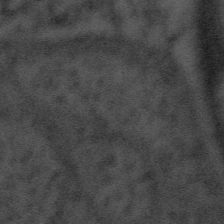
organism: Tuwongella immobilis